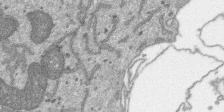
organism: Human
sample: Lung epithelial cells infected with SARS-CoV-2